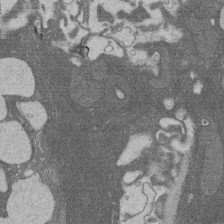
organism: Rat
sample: Salivary granule